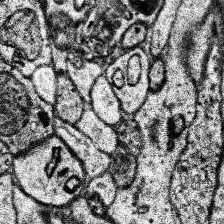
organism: Human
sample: Temporal Lobe